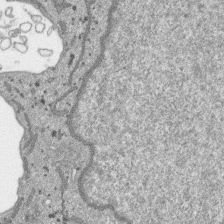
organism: Human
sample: Lung epithelial cells infected with SARS-CoV-2